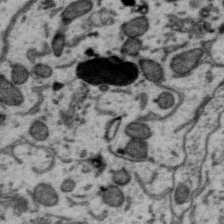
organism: Zebra finch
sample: Brain